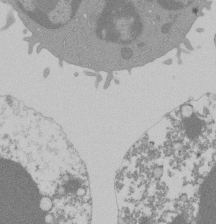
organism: Mouse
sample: Activated Pmel transgenic CD8+ T Cells